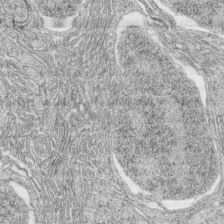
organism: Zebrafish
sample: synaptic ribbons in rod cells and cone cells